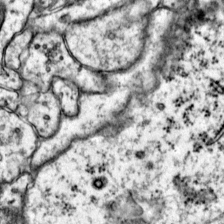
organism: Mouse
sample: Primary visual cortex